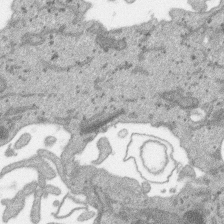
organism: Human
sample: Lung epithelial cells infected with SARS-CoV-2